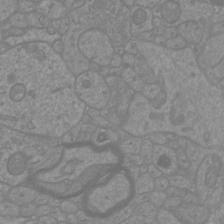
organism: Mouse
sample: Cortical neurons